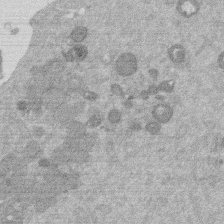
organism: Mouse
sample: Dividing mouse embryo 1 cell stage